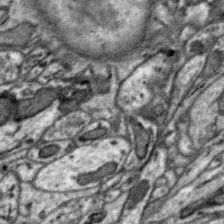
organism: Zebra finch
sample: Brain